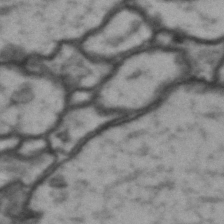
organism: Drosophila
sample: Brain